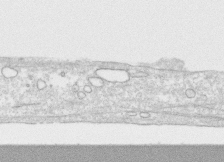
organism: Human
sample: CRL-1474